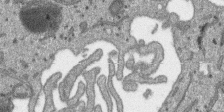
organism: Human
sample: Lung epithelial cells infected with SARS-CoV-2